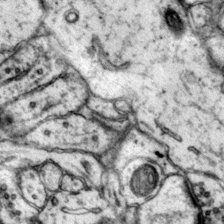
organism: Mouse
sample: Primary visual cortex